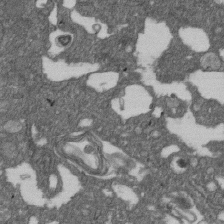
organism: Drosophila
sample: Nephrocyte